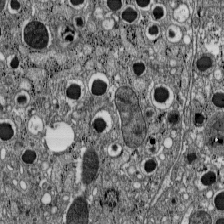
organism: C57BL Mouse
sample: Pancreatic islet